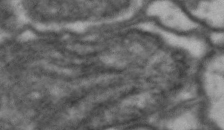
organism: Drosophila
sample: Brain